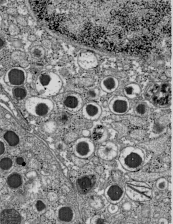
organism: C57BL Mouse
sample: Pancreatic islet